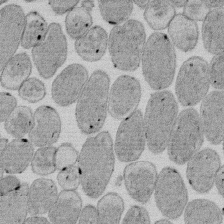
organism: E. coli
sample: Bacterial nucleoid